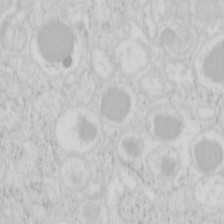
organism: Mouse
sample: Pancreas